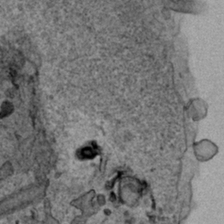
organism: Human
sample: Mitochondria in HCT116 cells